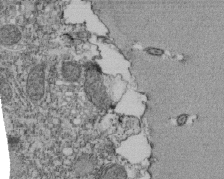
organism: Tetrahymena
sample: Cilia in tetrahymena